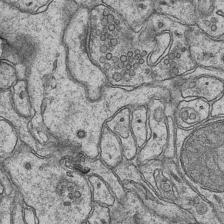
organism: Mouse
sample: CA1 Hippocampus